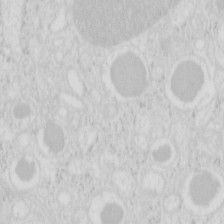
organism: Mouse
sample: Pancreas